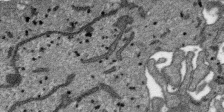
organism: Human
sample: Lung epithelial cells, uninfected (mock) control